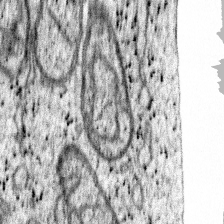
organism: Human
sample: HeLa cells